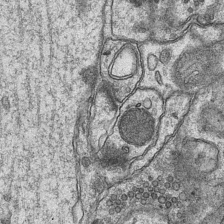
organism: Mouse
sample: CA1 Hippocampus